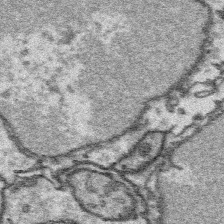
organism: Platynereis dumerilii